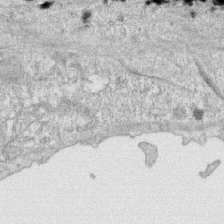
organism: Human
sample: HeLa cell HIV synapse